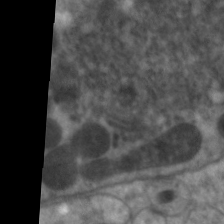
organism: C. elegans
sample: Pharynx